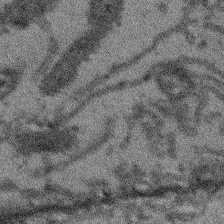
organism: Arabidopsis thaliana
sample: Root tip